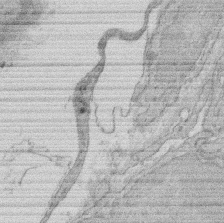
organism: Rat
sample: Salivary granule